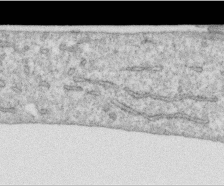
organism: Human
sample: Centriole in RPE cells